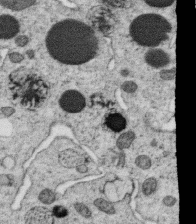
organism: C. elegans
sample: C. elegans oocyte; sperm cells